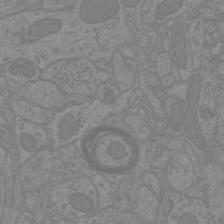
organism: Mouse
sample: Cortical neurons